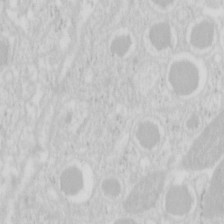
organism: Mouse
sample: Pancreas